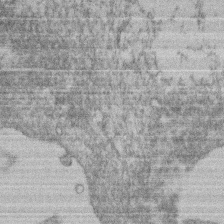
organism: Mouse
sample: T cell stromal cell synapse